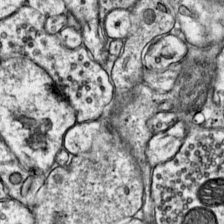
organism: Mouse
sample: Primary visual cortex